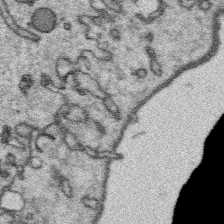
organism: Platynereis dumerilii